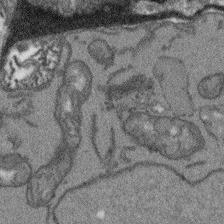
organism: Arabidopsis thaliana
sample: Root tip